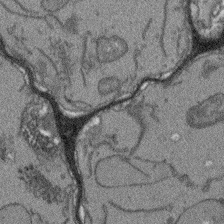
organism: Arabidopsis thaliana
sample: Root tip